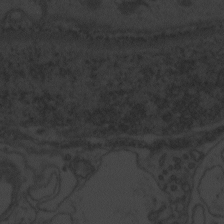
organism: Zebrafish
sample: Macrophage infected with Toxoplasma gondii